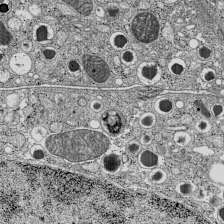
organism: C57BL Mouse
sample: Pancreatic islet